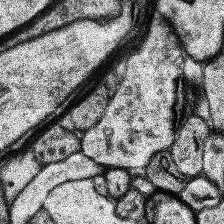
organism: Human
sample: Temporal Lobe